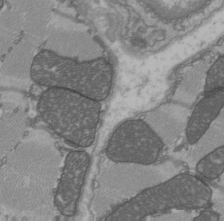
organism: C57BL Mouse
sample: Heart